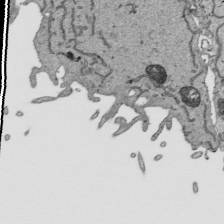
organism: Human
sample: Mitochondria in HCT116 cells